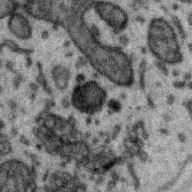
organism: Zebra finch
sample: Brain